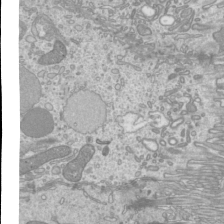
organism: Mouse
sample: Cilia; mouse epididymis